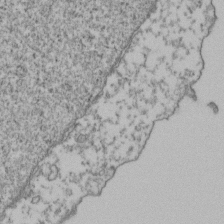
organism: Human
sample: Activated Jurkat CD4+ T cells